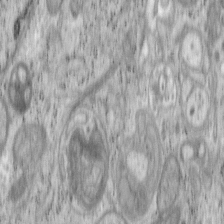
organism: Human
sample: HeLa cells